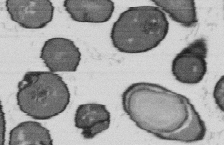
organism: B. subtilis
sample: Bacterial spore